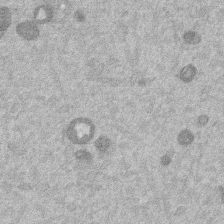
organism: Mouse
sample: Dividing mouse embryo 1 cell stage